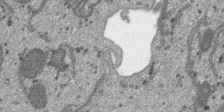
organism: Human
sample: Lung epithelial cells infected with SARS-CoV-2